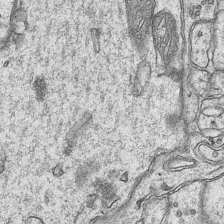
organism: Mouse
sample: CA1 Hippocampus